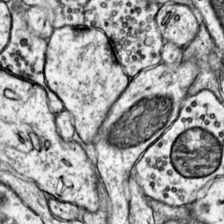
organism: Mouse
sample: Primary visual cortex